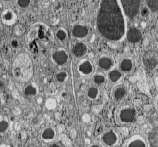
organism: C57BL Mouse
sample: Pancreatic islet